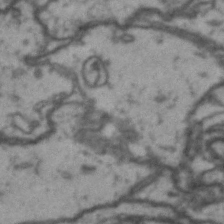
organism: Drosophila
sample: Brain